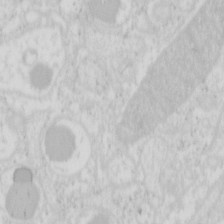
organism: Mouse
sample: Pancreas